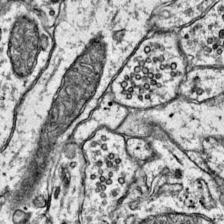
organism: Mouse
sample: Primary visual cortex